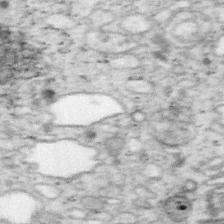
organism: Mouse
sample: OT-I killer T cells with ID8 ovarian cancer cells